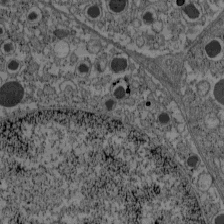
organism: C57BL Mouse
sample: Pancreatic islet